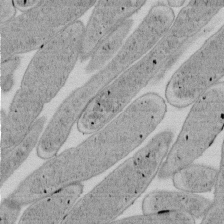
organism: E. coli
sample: Bacterial nucleoid